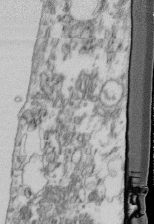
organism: Mouse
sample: Cilia; retinal pigment epithelium